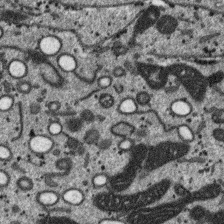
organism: Human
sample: Lung epithelial cells infected with SARS-CoV-2